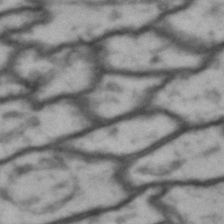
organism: Drosophila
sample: Brain